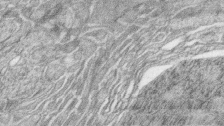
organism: Zebrafish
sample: synaptic ribbons in rod cells and cone cells